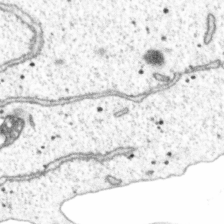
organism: Human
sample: HeLa cells